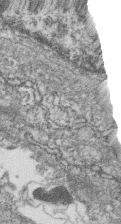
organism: Zebrafish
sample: Cilia; retinal pigment epithelium